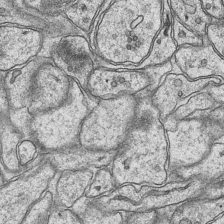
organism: Mouse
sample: CA1 Hippocampus